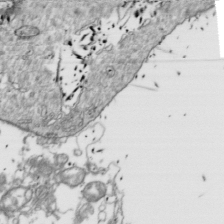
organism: Drosophila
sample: Cell division; meiosis; drosophila spermatocytes